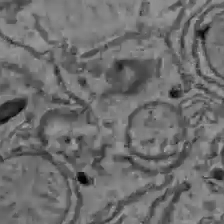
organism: C57BL Mouse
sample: Liver